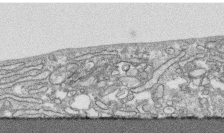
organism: Human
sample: CRL-1474